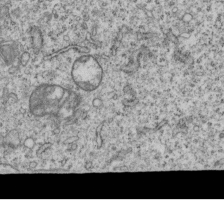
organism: Human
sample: MDA-MB-231 cells